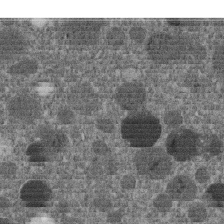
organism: C. elegans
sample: C. elegans embryo early stage